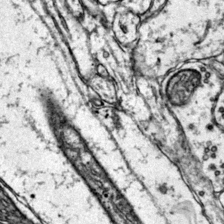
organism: Mouse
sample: Primary visual cortex